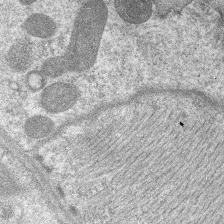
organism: C. elegans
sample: Pharynx